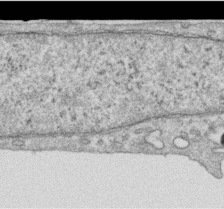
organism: Human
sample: Centriole in RPE cells